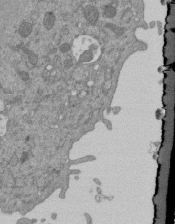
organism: Mouse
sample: ED-1 cell nuclei; centrioles